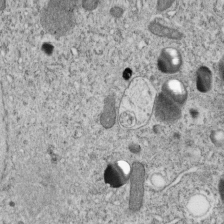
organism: C. elegans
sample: C. elegans embryo early stage